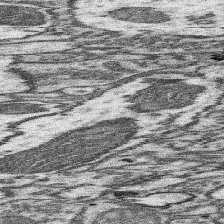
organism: Mouse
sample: Somatosensory cortex neuropil